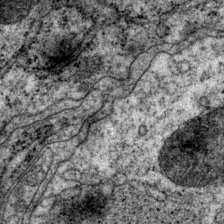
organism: P. pacificus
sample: Pharynx